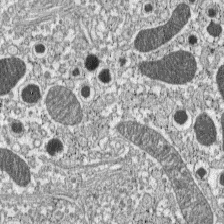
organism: C57BL Mouse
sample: Pancreatic islet